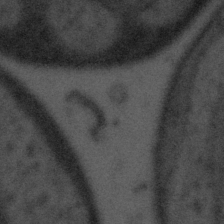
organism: Tuwongella immobilis